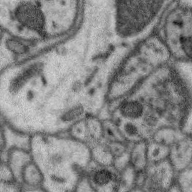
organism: Zebra finch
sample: Brain